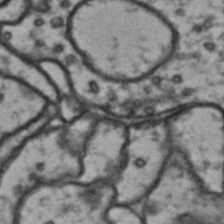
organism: Drosophila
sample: Brain